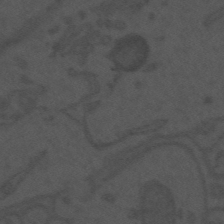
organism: Mouse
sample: Suprachiasmatic nucleus